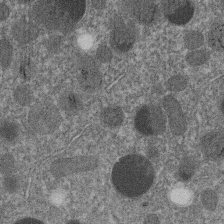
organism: C. elegans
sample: C. elegans embryo early stage